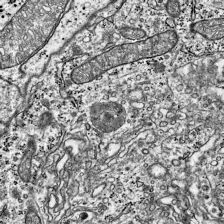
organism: Mouse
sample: Visual Cortex